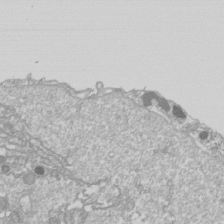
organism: Drosophila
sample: Cell division; meiosis; drosophila spermatocytes